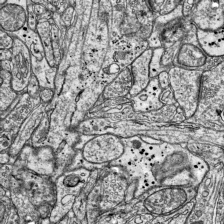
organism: Mouse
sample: Visual Cortex